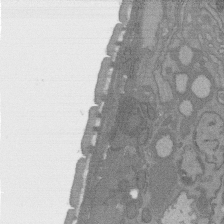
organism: C. elegans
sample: AFD neurons C. elegans